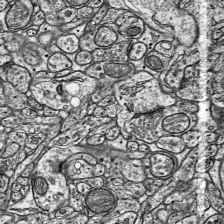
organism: Mouse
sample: Visual Cortex